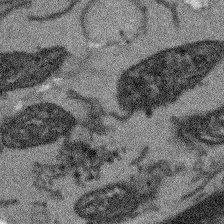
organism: Arabidopsis thaliana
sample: Root tip